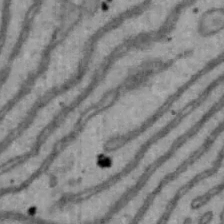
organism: Mouse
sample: Liver